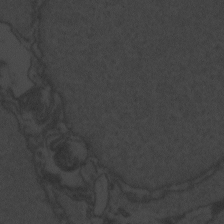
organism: Zebrafish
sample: Macrophage infected with Toxoplasma gondii